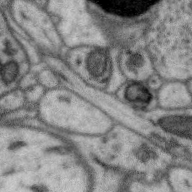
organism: Zebra finch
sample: Brain